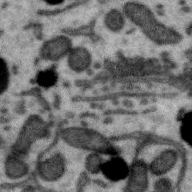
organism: Zebra finch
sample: Brain